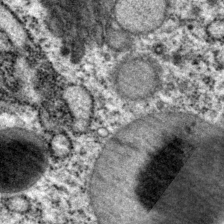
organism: P. pacificus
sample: Pharynx